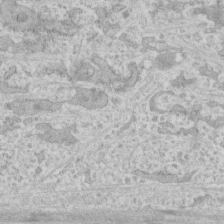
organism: Human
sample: CRL-1474